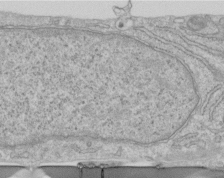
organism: Human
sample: Centriole in RPE cells